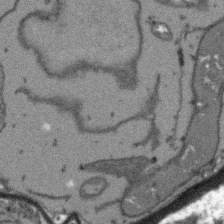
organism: Arabidopsis thaliana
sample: Root tip